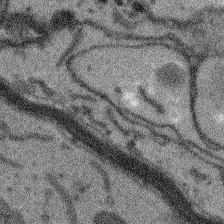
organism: Arabidopsis thaliana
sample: Root tip